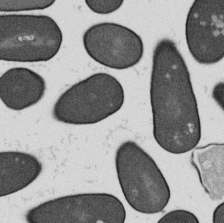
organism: B. subtilis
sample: Bacterial spore